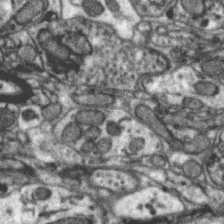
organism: Zebra finch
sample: Brain